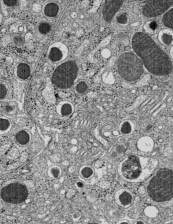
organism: C57BL Mouse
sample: Pancreatic islet